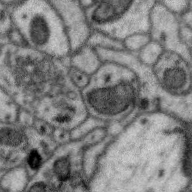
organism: Zebra finch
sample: Brain